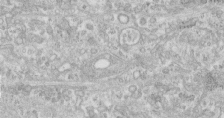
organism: Human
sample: Centriole in fibroblast cells